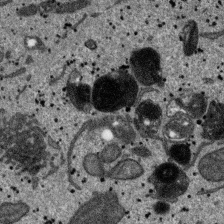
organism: Human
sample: Lung epithelial cells, uninfected (mock) control